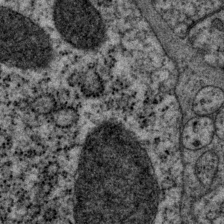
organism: P. pacificus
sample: Pharynx